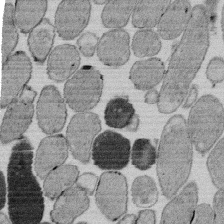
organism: E. coli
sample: Bacterial nucleoid